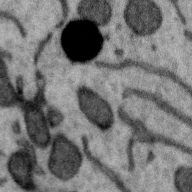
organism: Zebra finch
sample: Brain